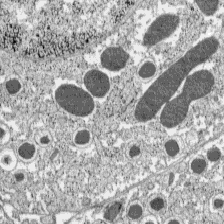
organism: C57BL Mouse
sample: Pancreatic islet